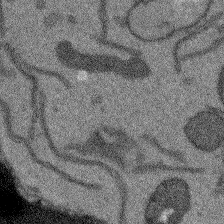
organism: Arabidopsis thaliana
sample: Root tip